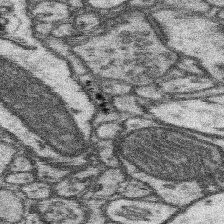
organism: Mouse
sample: Somatosensory cortex neuropil